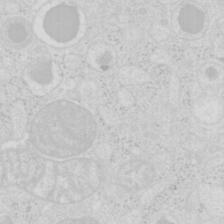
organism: Mouse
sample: Pancreas